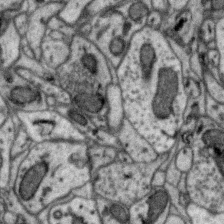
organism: Zebra finch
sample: Brain